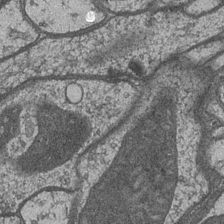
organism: Drosophila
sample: Optic medulla